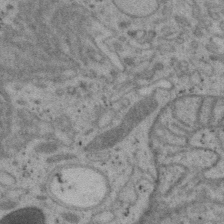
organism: Human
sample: HeLa cells